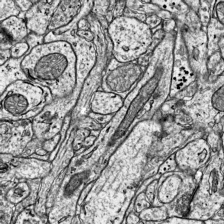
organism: Mouse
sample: Visual Cortex